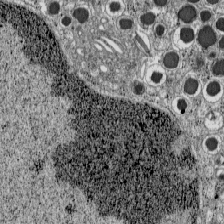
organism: C57BL Mouse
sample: Pancreatic islet